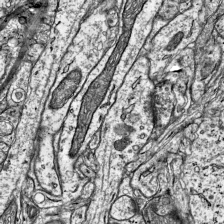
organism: Mouse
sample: Visual Cortex